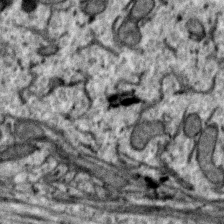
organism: Zebra finch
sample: Brain